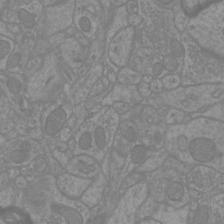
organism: Mouse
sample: Cortical neurons